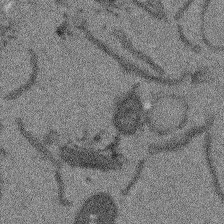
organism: Arabidopsis thaliana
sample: Root tip